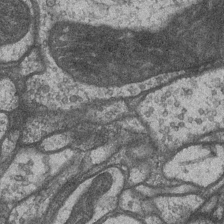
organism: Drosophila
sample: Optic medulla